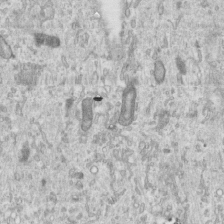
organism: Human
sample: Centriole in RPE cells